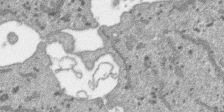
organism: Human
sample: Lung epithelial cells infected with SARS-CoV-2